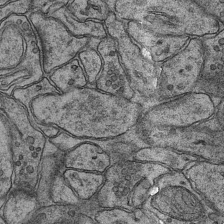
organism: Mouse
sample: CA1 Hippocampus